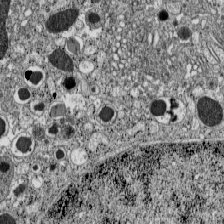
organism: C57BL Mouse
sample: Pancreatic islet